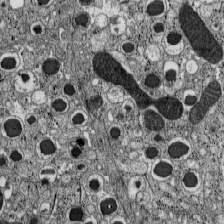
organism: C57BL Mouse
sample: Pancreatic islet